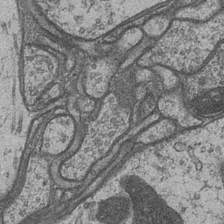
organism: Drosophila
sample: Optic medulla